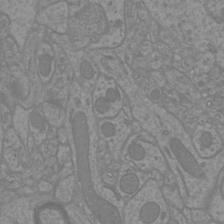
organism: Mouse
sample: Cortical neurons